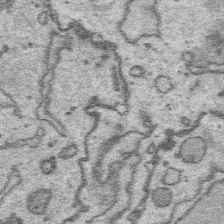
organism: Platynereis dumerilii